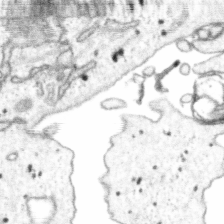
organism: Human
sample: HeLa cells